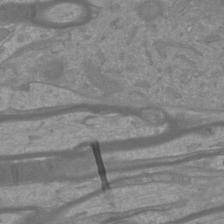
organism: Mouse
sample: Cortical neurons